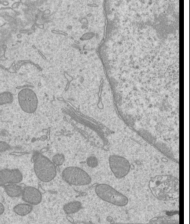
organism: Mouse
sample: Cilia; mouse epididymis